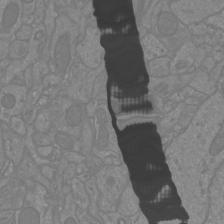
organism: Mouse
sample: Cortical neurons